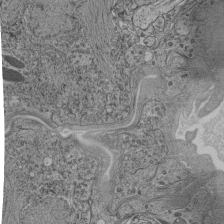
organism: C. elegans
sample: C. elegans pharynx